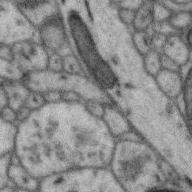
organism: Zebra finch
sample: Brain